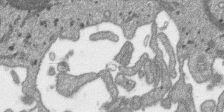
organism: Human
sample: Lung epithelial cells infected with SARS-CoV-2